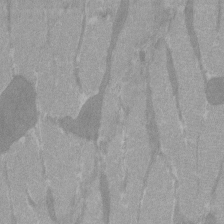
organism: C57BL Mouse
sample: Tibialis anterior muscle cell